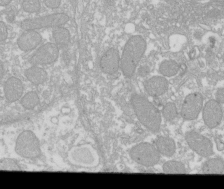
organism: Xenopus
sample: Cilia; centrioles in frog embryo cells